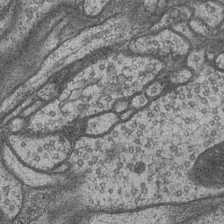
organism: Drosophila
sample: Optic medulla